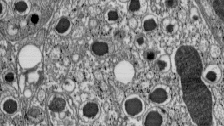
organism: C57BL Mouse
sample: Pancreatic islet